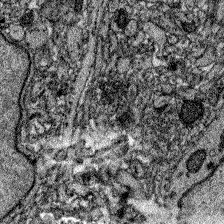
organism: Zebrafish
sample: Larval olfactory bulb